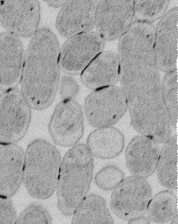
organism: E. coli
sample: Bacterial nucleoid